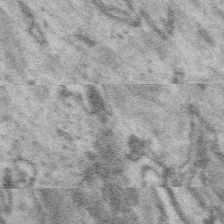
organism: Platynereis dumerilii